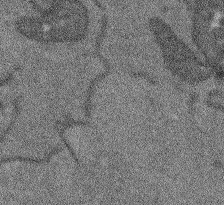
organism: Arabidopsis thaliana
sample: Root tip